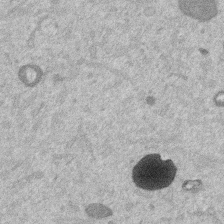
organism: Mouse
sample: Dividing mouse embryo 1 cell stage